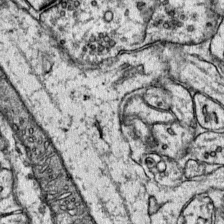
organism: Mouse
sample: Primary visual cortex